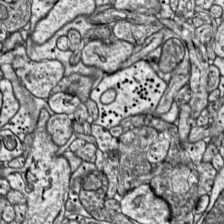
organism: Mouse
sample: Visual Cortex